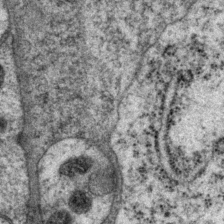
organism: P. pacificus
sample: Pharynx